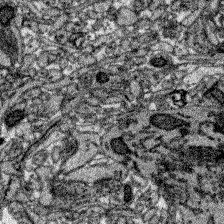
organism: Zebrafish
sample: Larval olfactory bulb